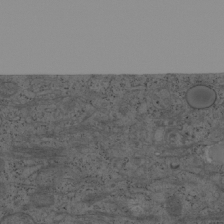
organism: Human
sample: HeLa cells